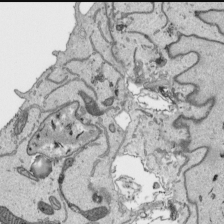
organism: Human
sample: Mitochondria in HCT116 cells